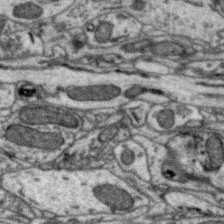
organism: Zebra finch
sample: Brain